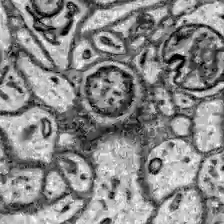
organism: Zebrafish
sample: Brain